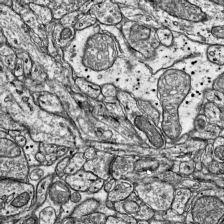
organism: Mouse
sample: Visual Cortex